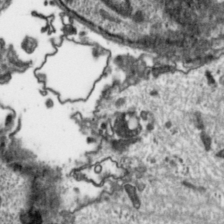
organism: Toxoplasma gondii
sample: Parasites in a vacuole inside a host cell